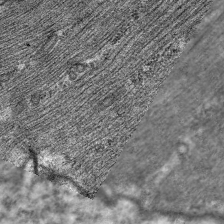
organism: C. elegans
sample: Pharynx